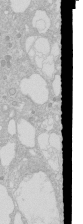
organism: Human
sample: Caco-2 cells